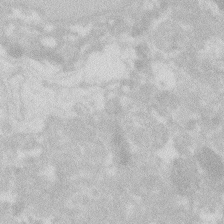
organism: Zebrafish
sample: Macrophage